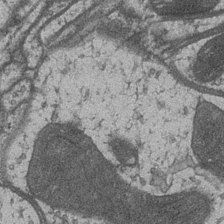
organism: Drosophila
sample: Optic medulla